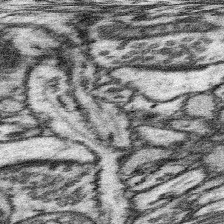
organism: Mouse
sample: Somatosensory cortex neuropil